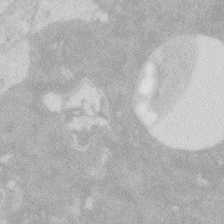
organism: Zebrafish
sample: Macrophage